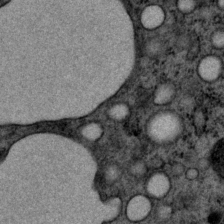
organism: P. pacificus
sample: Pharynx